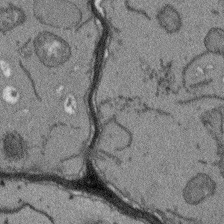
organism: Arabidopsis thaliana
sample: Root tip